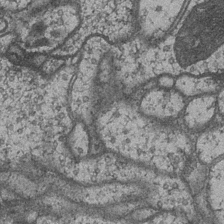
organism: Drosophila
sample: Optic medulla